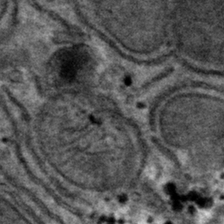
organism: Mouse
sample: Mouse hepatocytes